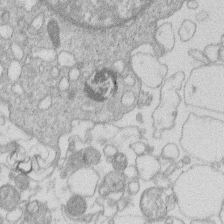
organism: Human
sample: Macrophage cells